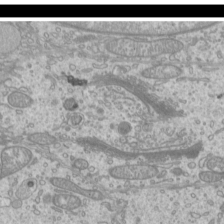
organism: Mouse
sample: Cilia; mouse epididymis